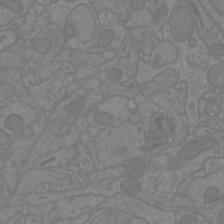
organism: Mouse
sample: Cortical neurons